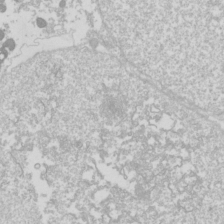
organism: Drosophila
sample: Cell division; meiosis; drosophila spermatocytes